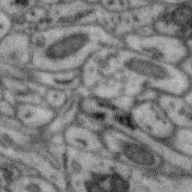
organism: Zebra finch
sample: Brain